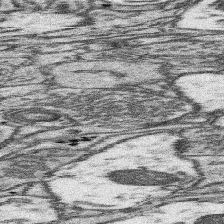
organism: Mouse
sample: Somatosensory cortex neuropil